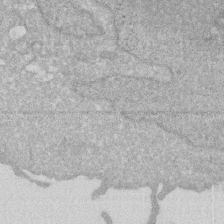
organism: Human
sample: HIV infected U937 cells